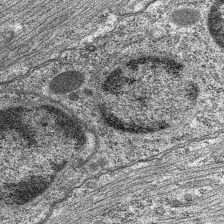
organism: C. elegans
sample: Pharynx